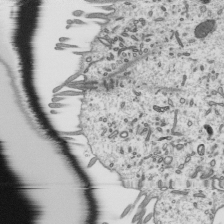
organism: Mouse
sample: Mouse epididymis efferent ductule cilia